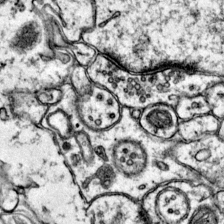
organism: Mouse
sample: Primary visual cortex